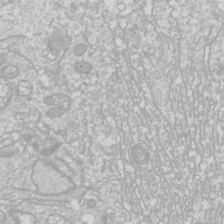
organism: Drosophila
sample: Cell division; meiosis; drosophila spermatocytes